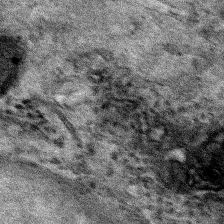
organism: Human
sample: Mitochondria in HCT116 cells